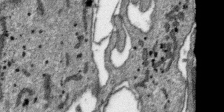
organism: Human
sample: Lung epithelial cells, uninfected (mock) control